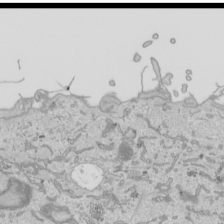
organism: Human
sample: Mitochondria in HCT116 cells